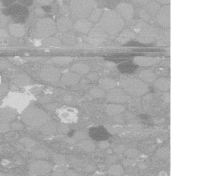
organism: C. elegans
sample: C. elegans oocyte; sperm cells